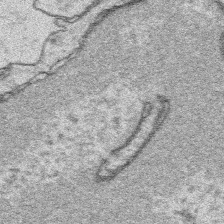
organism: Platynereis dumerilii